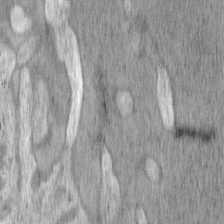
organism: Human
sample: HeLa cells